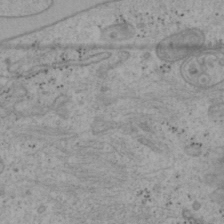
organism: Human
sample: HeLa cells